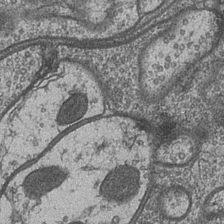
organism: Drosophila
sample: Optic medulla